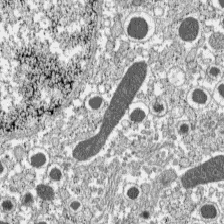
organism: C57BL Mouse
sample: Pancreatic islet